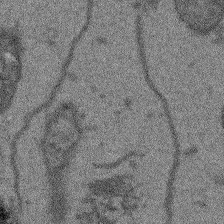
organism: Arabidopsis thaliana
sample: Root tip